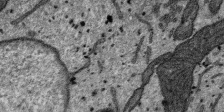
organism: Human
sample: Lung epithelial cells, uninfected (mock) control